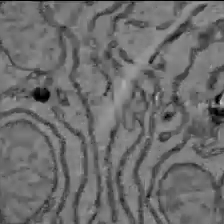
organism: C57BL Mouse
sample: Liver